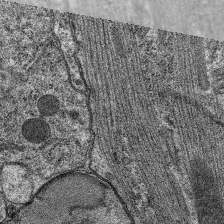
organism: C. elegans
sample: Pharynx